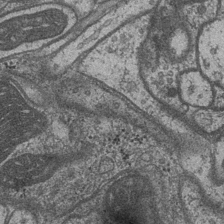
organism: Drosophila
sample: Optic medulla